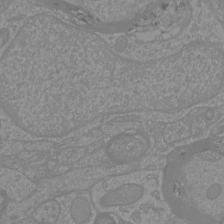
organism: Mouse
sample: Cortical neurons